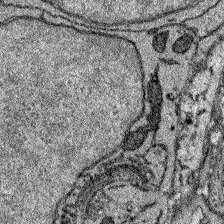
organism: Zebrafish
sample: Larval olfactory bulb